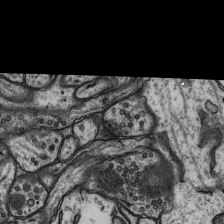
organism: Rat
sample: Hippocampus